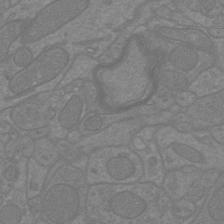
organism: Mouse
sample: Cortical neurons